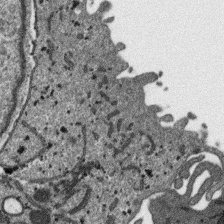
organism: Human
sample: Lung epithelial cells infected with SARS-CoV-2